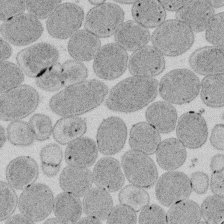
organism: E. coli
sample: Bacterial nucleoid